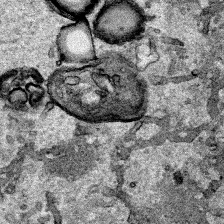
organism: Human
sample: Mitochondria in HCT116 cells